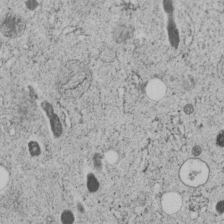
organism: C. elegans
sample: C. elegans embryo early stage